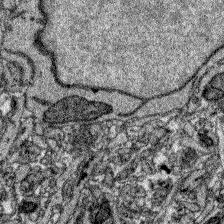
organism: Zebrafish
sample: Larval olfactory bulb